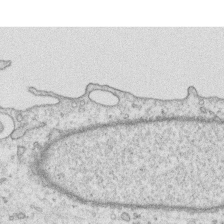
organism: Human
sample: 1205lu cells